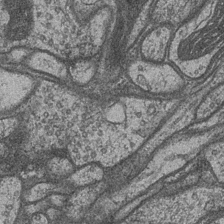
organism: Drosophila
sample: Optic medulla